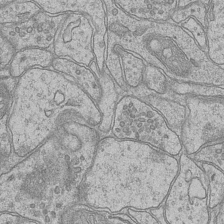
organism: Mouse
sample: CA1 Hippocampus